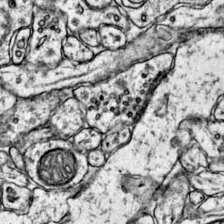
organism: Mouse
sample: Primary visual cortex